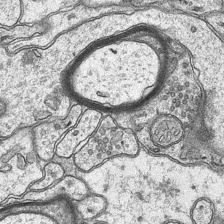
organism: Mouse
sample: CA1 Hippocampus